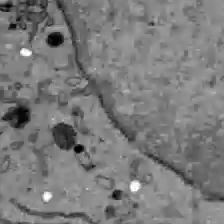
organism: C57BL Mouse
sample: Liver